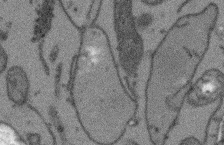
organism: Arabidopsis thaliana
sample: Root tip